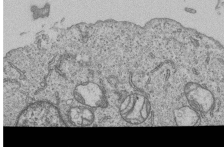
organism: Human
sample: MDA-MB-231 cells